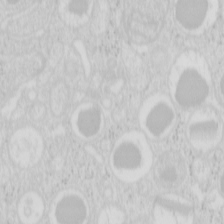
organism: Mouse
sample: Pancreas